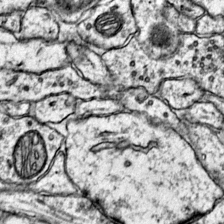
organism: Mouse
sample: Primary visual cortex